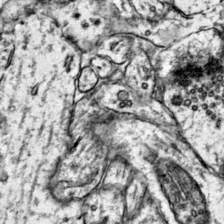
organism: Mouse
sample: Primary visual cortex